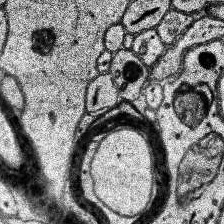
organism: Human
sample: Temporal Lobe